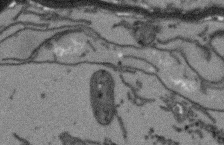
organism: Arabidopsis thaliana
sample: Root tip